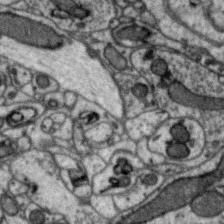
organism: Zebra finch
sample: Brain